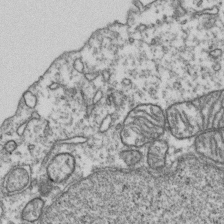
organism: Human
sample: Activated Jurkat CD4+ T cells